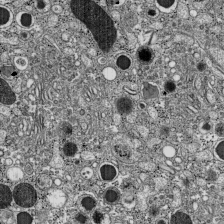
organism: C57BL Mouse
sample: Pancreatic islet